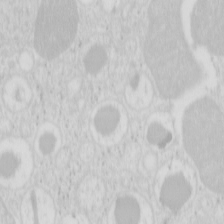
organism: Mouse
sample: Pancreas